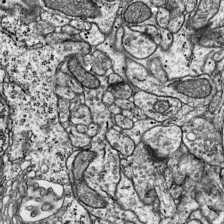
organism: Mouse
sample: Visual Cortex